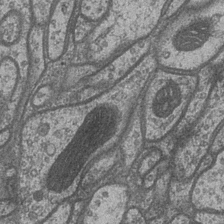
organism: Drosophila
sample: Optic medulla